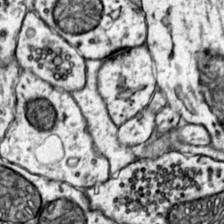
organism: Mouse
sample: Primary visual cortex